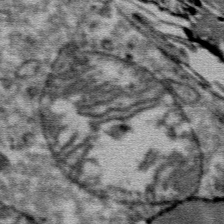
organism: Mouse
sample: Mouse Salivary gland